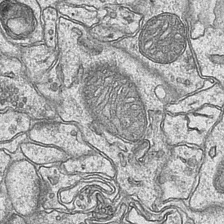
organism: Mouse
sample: CA1 Hippocampus